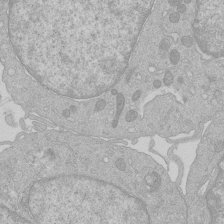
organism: Human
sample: Macrophage cells